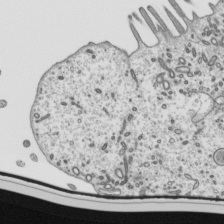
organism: Mouse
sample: Mouse epididymis efferent ductule cilia